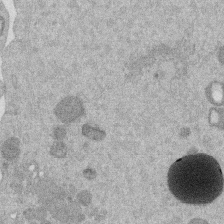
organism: Mouse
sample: Dividing mouse embryo 1 cell stage